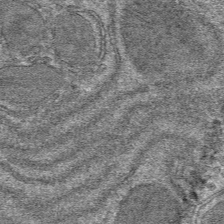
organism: Mouse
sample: Mouse hepatocytes